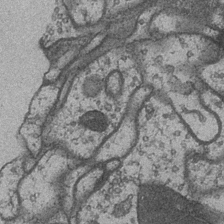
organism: Drosophila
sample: Optic medulla